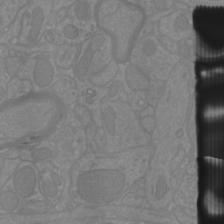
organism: Mouse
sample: Cortical neurons